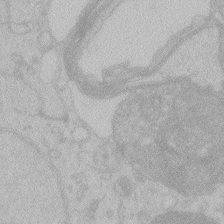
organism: Zebrafish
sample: Macrophage infected with Toxoplasma gondii